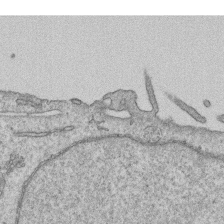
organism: Human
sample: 1205lu cells